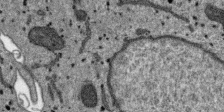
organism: Human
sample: Lung epithelial cells, uninfected (mock) control